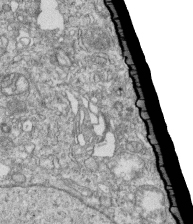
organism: Human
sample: HeLa cell HIV synapse